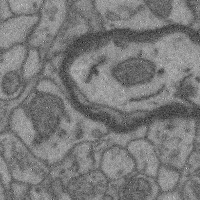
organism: Mouse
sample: Cerebral cortex